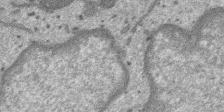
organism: Human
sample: Lung epithelial cells infected with SARS-CoV-2